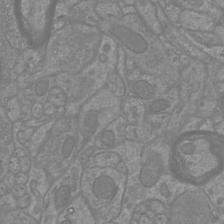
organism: Mouse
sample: Cortical neurons